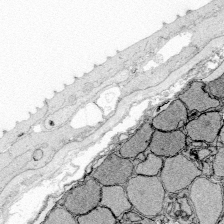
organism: Zebrafish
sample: Whole-Brain